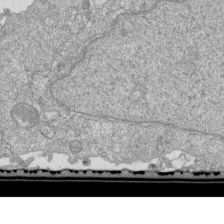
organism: Human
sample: HeLa cell HIV synapse